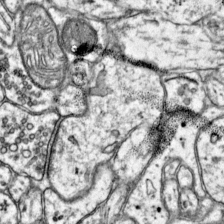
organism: Mouse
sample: Primary visual cortex